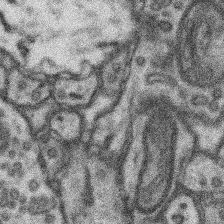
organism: Mouse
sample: Somatosensory cortex neuropil